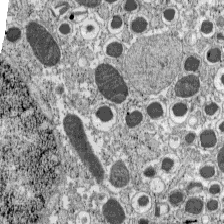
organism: C57BL Mouse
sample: Pancreatic islet